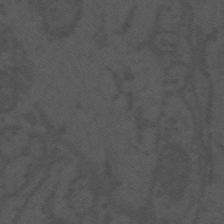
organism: Mouse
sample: Suprachiasmatic nucleus